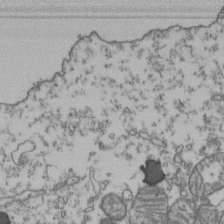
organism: Human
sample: Activated Jurkat CD4+ T cells